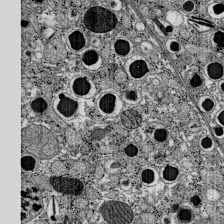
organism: C57BL Mouse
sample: Pancreatic islet